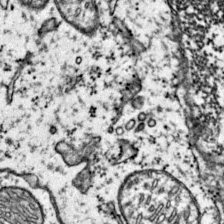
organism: Mouse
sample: Primary visual cortex